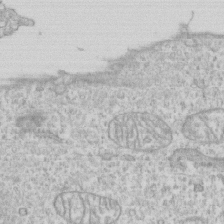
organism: Human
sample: CRL-1474